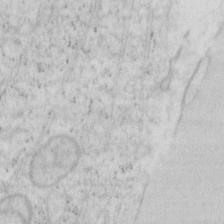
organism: Human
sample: HeLa cells